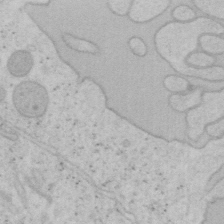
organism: Human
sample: HeLa cells